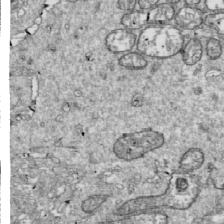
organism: Drosophila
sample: Cell division; meiosis; drosophila spermatocytes